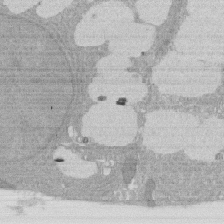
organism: Rat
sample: Salivary granule